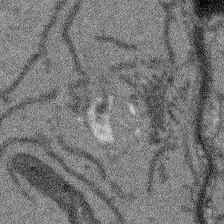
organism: Arabidopsis thaliana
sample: Root tip